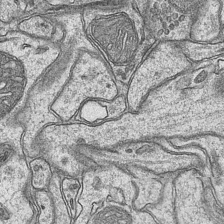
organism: Mouse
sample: CA1 Hippocampus